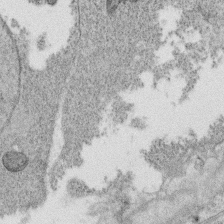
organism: C. elegans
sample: C. elegans oocyte; sperm cells